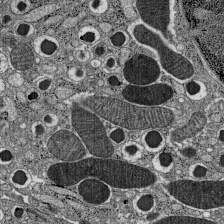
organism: C57BL Mouse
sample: Pancreatic islet